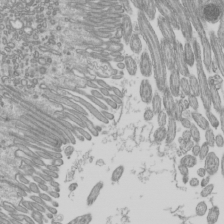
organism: Mouse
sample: Cilia; mouse epididymis